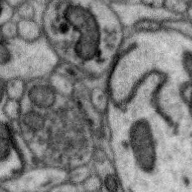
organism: Zebra finch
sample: Brain